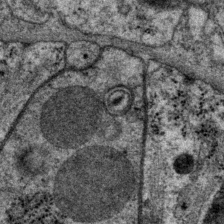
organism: P. pacificus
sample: Pharynx